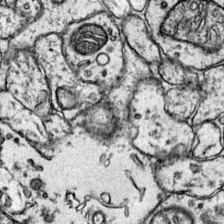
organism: Mouse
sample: Primary visual cortex